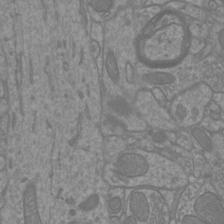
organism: Mouse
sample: Cortical neurons